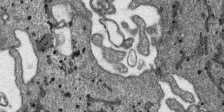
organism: Human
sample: Lung epithelial cells infected with SARS-CoV-2